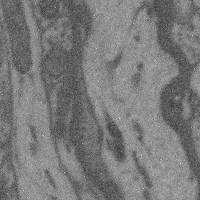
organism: Mouse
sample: Cerebral cortex